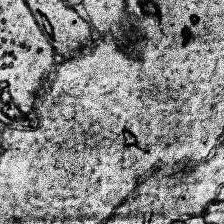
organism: Human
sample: Temporal Lobe